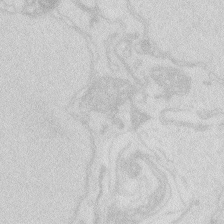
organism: Zebrafish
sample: Macrophage